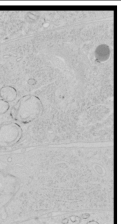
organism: Human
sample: Mitochondria in HCT116 cells